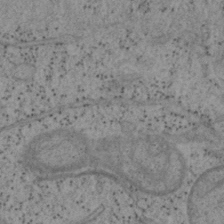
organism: Human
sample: HeLa cells